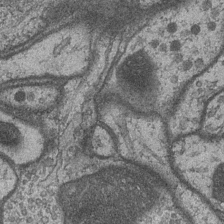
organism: Drosophila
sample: Optic medulla